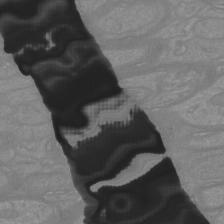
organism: Mouse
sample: Cortical neurons